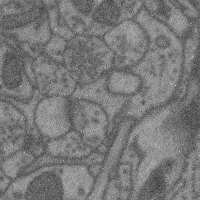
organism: Mouse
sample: Cerebral cortex